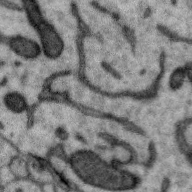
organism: Zebra finch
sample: Brain